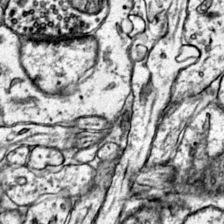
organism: Mouse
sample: Primary visual cortex